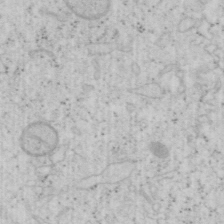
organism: Human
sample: HeLa cells